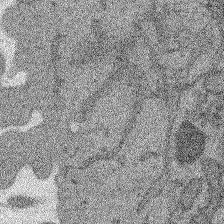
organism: Human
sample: HeLa cells